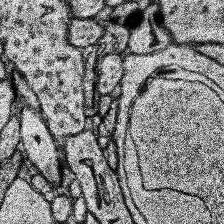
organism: Human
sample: Temporal Lobe